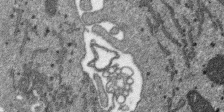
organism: Human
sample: Lung epithelial cells infected with SARS-CoV-2